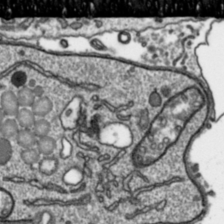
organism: Toxoplasma gondii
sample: Parasites in a vacuole inside a host cell